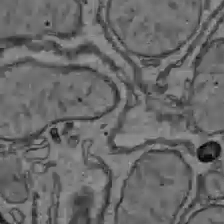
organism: C57BL Mouse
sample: Liver